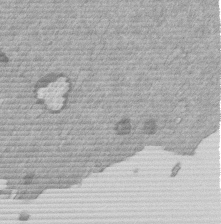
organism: Mouse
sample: Dividing mouse embryo 1 cell stage